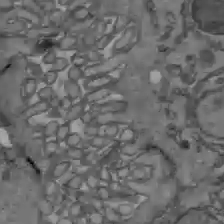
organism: C57BL Mouse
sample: Liver